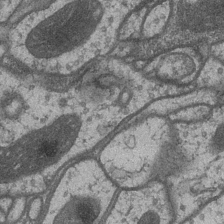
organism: Drosophila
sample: Optic medulla